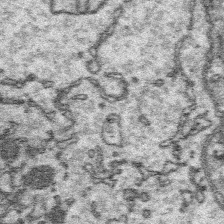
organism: Platynereis dumerilii